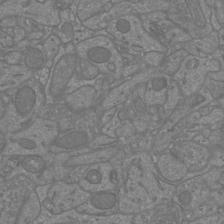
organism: Mouse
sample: Cortical neurons